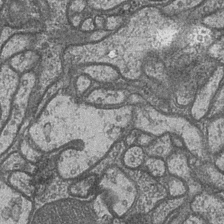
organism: Drosophila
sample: Optic medulla